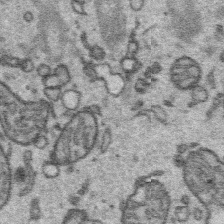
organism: Platynereis dumerilii